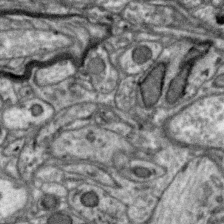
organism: Zebra finch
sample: Brain